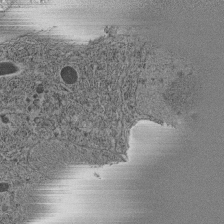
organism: C. elegans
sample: C. elegans pharynx